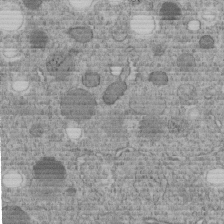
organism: C. elegans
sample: C. elegans embryo early stage